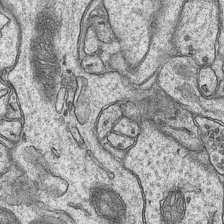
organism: Mouse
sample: CA1 Hippocampus